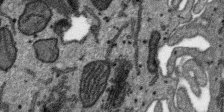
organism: Human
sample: Lung epithelial cells, uninfected (mock) control